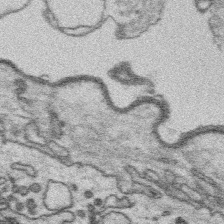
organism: Platynereis dumerilii